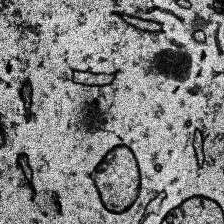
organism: Human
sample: Temporal Lobe